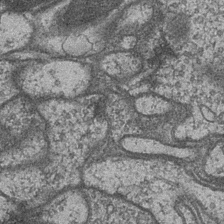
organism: Drosophila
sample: Optic medulla